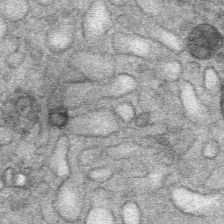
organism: Mouse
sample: Mouse Salivary gland